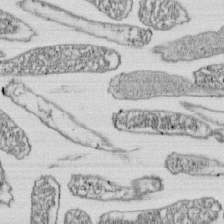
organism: E. coli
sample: Bacterial nucleoid